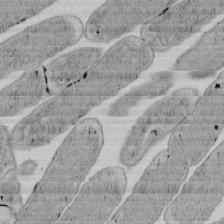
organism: E. coli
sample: Bacterial nucleoid